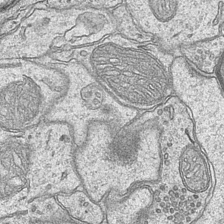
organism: Mouse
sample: CA1 Hippocampus